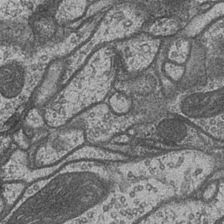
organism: Drosophila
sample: Optic medulla